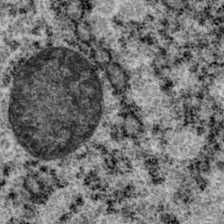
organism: P. pacificus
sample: Pharynx